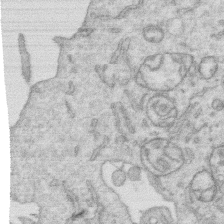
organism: Human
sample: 1205lu cells